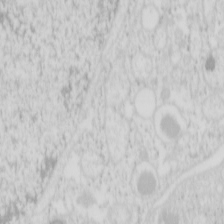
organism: Mouse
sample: Pancreas